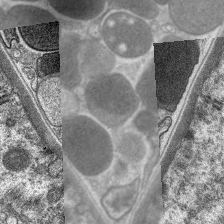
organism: C. elegans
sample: Pharynx